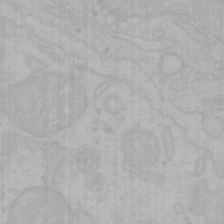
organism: Mouse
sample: Choroid plexus